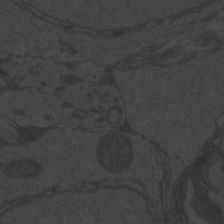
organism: Zebrafish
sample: Macrophage infected with Toxoplasma gondii